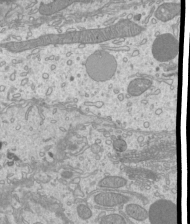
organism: Mouse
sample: Cilia; mouse epididymis